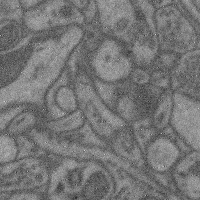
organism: Mouse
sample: Cerebral cortex